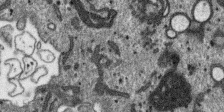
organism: Human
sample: Lung epithelial cells infected with SARS-CoV-2